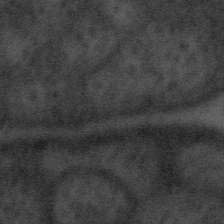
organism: Tuwongella immobilis